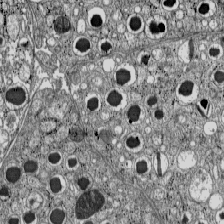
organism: C57BL Mouse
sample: Pancreatic islet